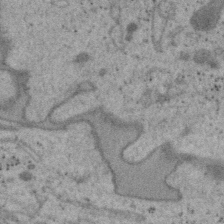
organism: Human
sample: HeLa cells